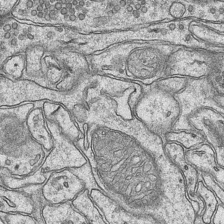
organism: Mouse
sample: CA1 Hippocampus